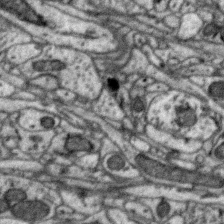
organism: Zebra finch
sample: Brain